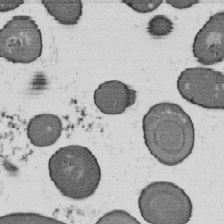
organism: B. subtilis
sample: Bacterial spore